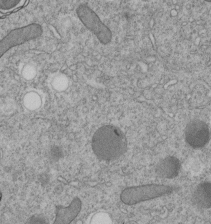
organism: C. elegans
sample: C. elegans embryo early stage